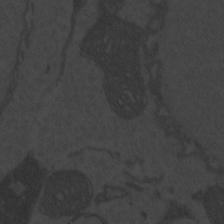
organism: Zebrafish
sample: Macrophage infected with Toxoplasma gondii